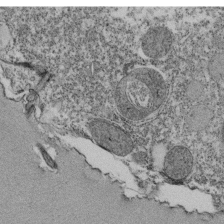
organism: Tetrahymena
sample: Cilia in tetrahymena